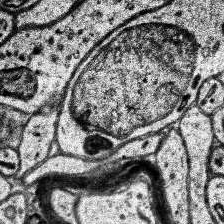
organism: Human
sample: Temporal Lobe